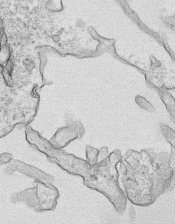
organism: Human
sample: Mitochondria in HCT116 cells